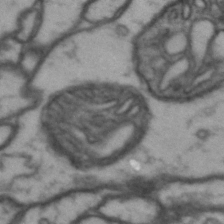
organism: Drosophila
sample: Brain